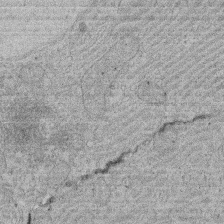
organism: Rat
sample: Salivary granule